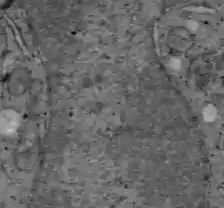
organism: C57BL Mouse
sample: Liver